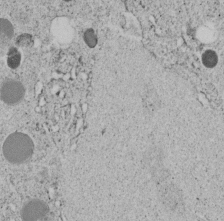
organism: C. elegans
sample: C. elegans embryo early stage